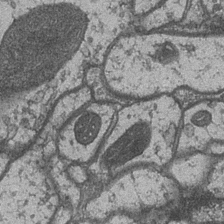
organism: Drosophila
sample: Optic medulla